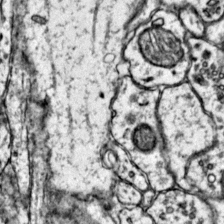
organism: Mouse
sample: Primary visual cortex